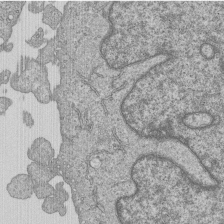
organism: Human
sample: MDA-MB-231 cells